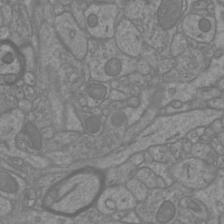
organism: Mouse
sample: Cortical neurons